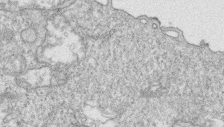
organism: Human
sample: HeLa cell HIV synapse